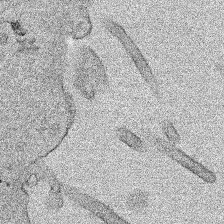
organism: Human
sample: Mitochondria in HCT116 cells